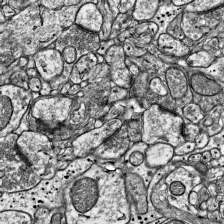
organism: Mouse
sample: Visual Cortex